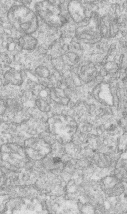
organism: Human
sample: HeLa cell HIV synapse